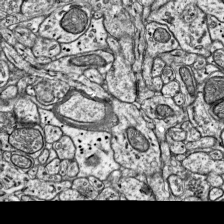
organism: Mouse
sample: Visual Cortex